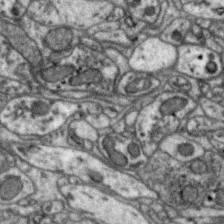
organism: Zebra finch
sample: Brain